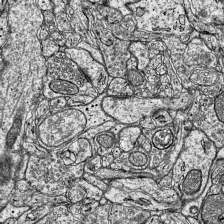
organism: Mouse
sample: Visual Cortex